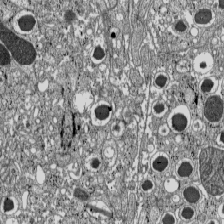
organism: C57BL Mouse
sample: Pancreatic islet